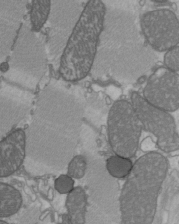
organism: C57BL Mouse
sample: Heart